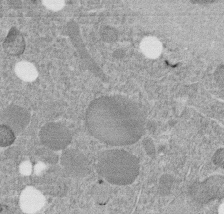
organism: C. elegans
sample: C. elegans embryo early stage